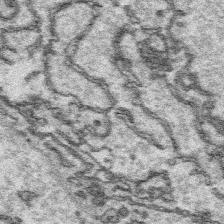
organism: Platynereis dumerilii